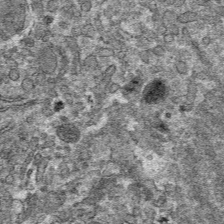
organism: Mouse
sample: Mouse hepatocytes